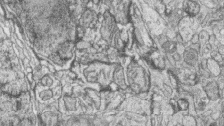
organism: Zebrafish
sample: synaptic ribbons in rod cells and cone cells